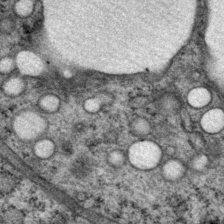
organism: P. pacificus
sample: Pharynx